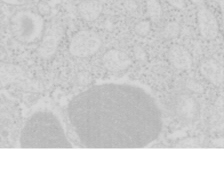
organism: Mouse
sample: Pancreas